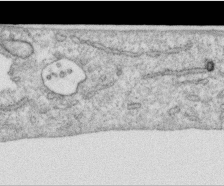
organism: Human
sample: Centriole in RPE cells